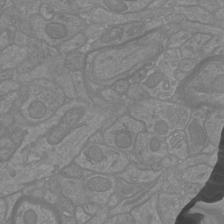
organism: Mouse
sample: Cortical neurons